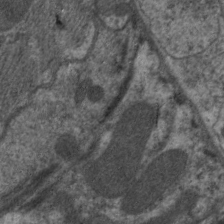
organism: C. elegans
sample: Pharynx